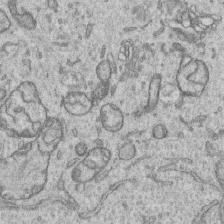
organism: Human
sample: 1205lu cells